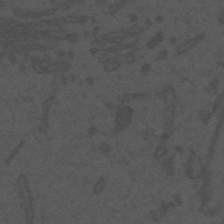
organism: Mouse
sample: Suprachiasmatic nucleus